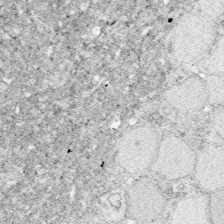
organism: Zebrafish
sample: Whole-Brain